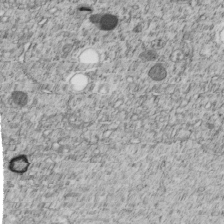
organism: C. elegans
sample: C. elegans embryo early stage